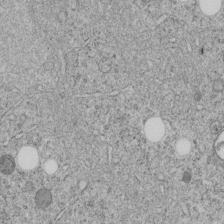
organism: C. elegans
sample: C. elegans embryo early stage